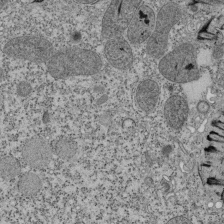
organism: Tetrahymena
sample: Cilia in tetrahymena